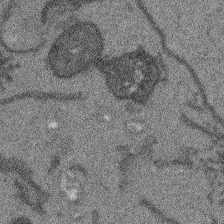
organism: Arabidopsis thaliana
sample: Root tip